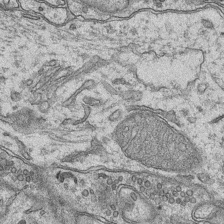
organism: Mouse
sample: CA1 Hippocampus